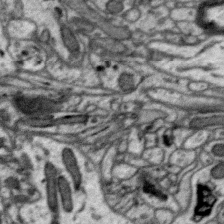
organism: Zebra finch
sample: Brain